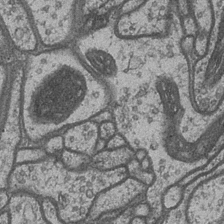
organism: Drosophila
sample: Optic medulla